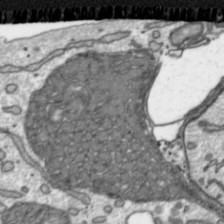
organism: Toxoplasma gondii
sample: Parasites in a vacuole inside a host cell